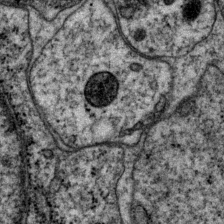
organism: P. pacificus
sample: Pharynx